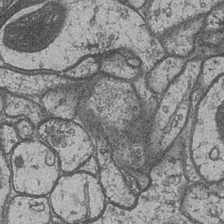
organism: Drosophila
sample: Optic medulla